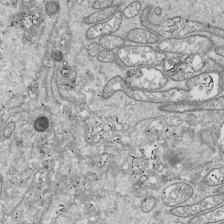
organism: Drosophila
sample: Cell division; meiosis; drosophila spermatocytes